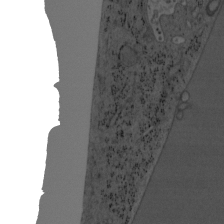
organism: Mouse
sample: OT-I killer T cells with ID8 ovarian cancer cells